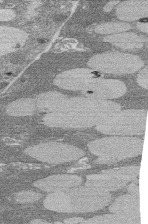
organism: Rat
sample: Salivary granule